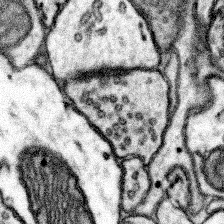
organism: Mouse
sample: Somatosensory cortex neuropil